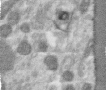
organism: Human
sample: Centriole in RPE cells